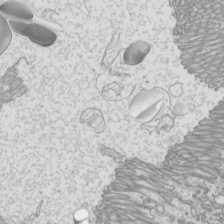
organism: Mouse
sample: Cilia; mouse epididymis